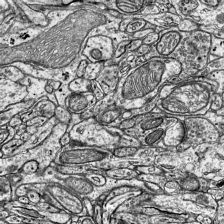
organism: Mouse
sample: Visual Cortex